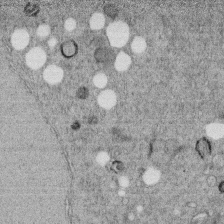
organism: C. elegans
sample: C. elegans embryo early stage